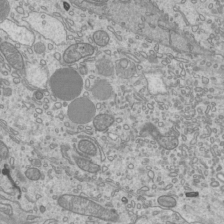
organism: Mouse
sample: Cilia; mouse epididymis